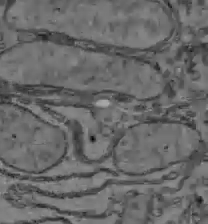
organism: C57BL Mouse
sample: Liver